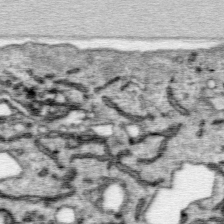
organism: Human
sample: HeLa cells